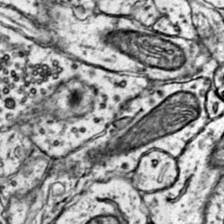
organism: Mouse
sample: Primary visual cortex